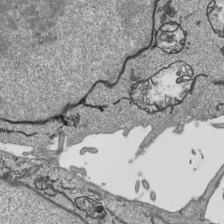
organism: Human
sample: Mitochondria in HCT116 cells